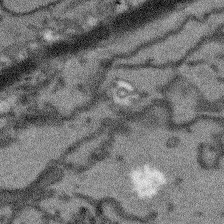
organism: Arabidopsis thaliana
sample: Root tip